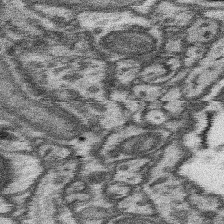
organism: Mouse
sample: Somatosensory cortex neuropil